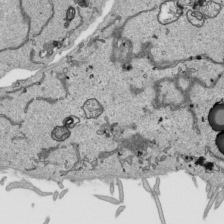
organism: Human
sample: Mitochondria in HCT116 cells